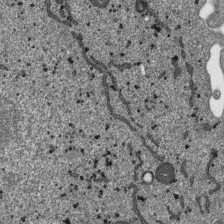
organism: Human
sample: Lung epithelial cells infected with SARS-CoV-2